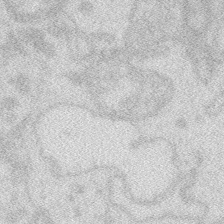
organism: Zebrafish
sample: Macrophage